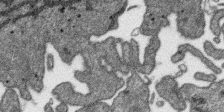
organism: Human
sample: Lung epithelial cells infected with SARS-CoV-2